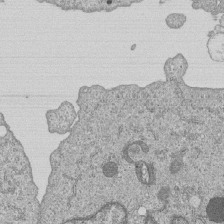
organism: Human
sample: MDA-MB-231 cells